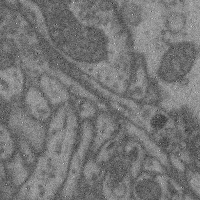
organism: Mouse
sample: Cerebral cortex